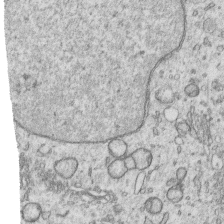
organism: Human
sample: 1205lu cells